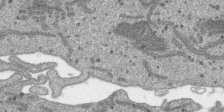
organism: Human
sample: Lung epithelial cells infected with SARS-CoV-2